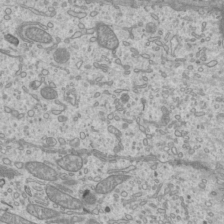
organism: Mouse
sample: Cilia; mouse epididymis